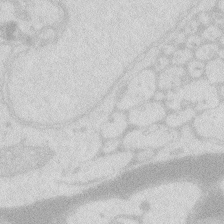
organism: Zebrafish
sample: Macrophage